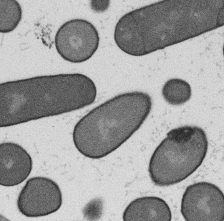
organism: B. subtilis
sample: Bacterial spore